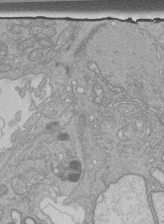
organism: Human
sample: Retinal organoid Rod and Cone cells